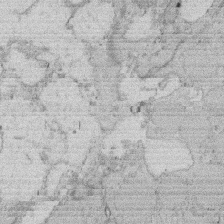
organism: Rat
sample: Salivary granule